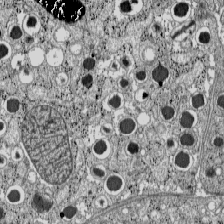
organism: C57BL Mouse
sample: Pancreatic islet